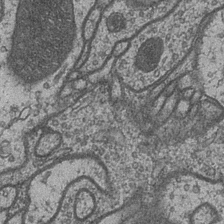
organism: Drosophila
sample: Optic medulla